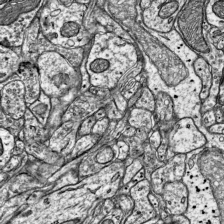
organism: Mouse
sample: Visual Cortex